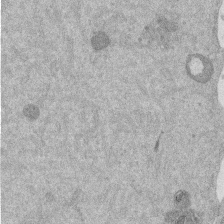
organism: Mouse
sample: Dividing mouse embryo 1 cell stage